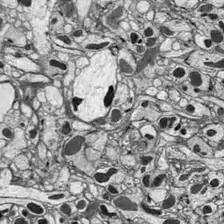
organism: Drosophila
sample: Optic lobe